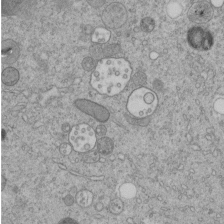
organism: C. elegans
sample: C. elegans embryo early stage